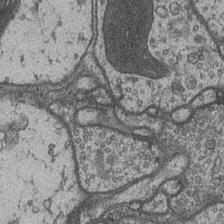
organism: Drosophila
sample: Optic medulla